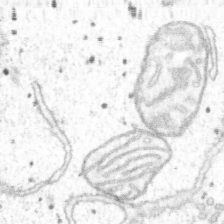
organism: Human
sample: HeLa cells